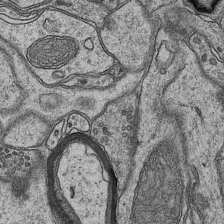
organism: Mouse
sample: CA1 Hippocampus